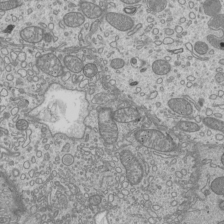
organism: Mouse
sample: Cilia; mouse epididymis